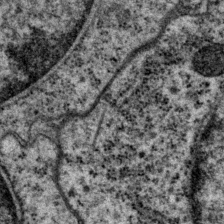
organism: P. pacificus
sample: Pharynx